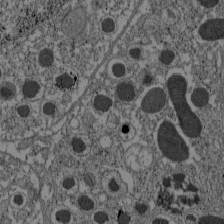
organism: C57BL Mouse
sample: Pancreatic islet